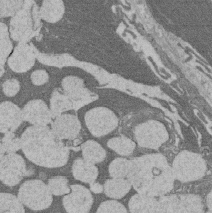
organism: Rat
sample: Salivary granule